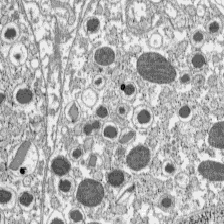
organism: C57BL Mouse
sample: Pancreatic islet